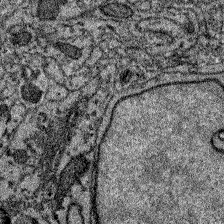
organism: Zebrafish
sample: Larval olfactory bulb